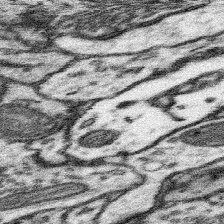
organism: Mouse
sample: Somatosensory cortex neuropil